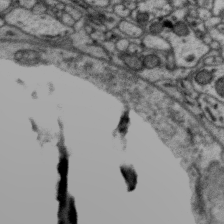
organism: Zebra finch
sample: Brain